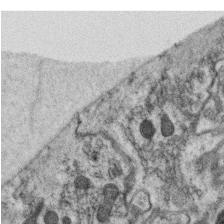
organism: C. elegans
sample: C. elegans oocyte; sperm cells